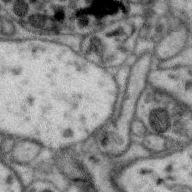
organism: Zebra finch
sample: Brain